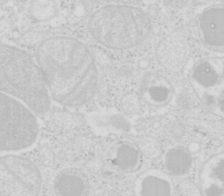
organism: Mouse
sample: Pancreas